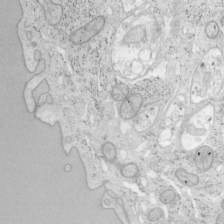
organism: Mouse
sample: OT-I killer T cells with ID8 ovarian cancer cells